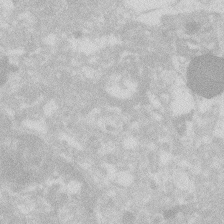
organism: Zebrafish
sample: Macrophage